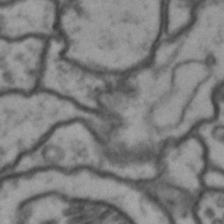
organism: Drosophila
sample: Brain